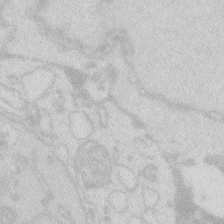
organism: Zebrafish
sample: Macrophage